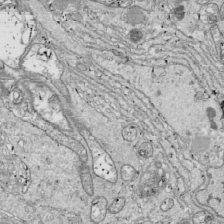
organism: Drosophila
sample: Cell division; meiosis; drosophila spermatocytes